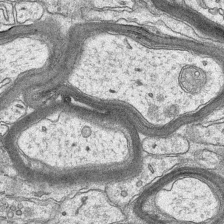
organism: Mouse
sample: CA1 Hippocampus